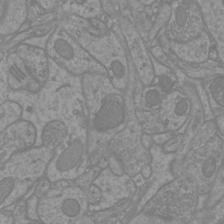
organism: Mouse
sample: Cortical neurons